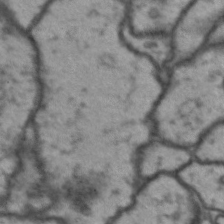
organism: Drosophila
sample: Brain